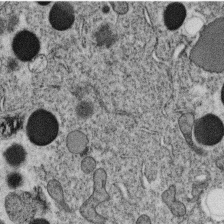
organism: C. elegans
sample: C. elegans oocyte; sperm cells